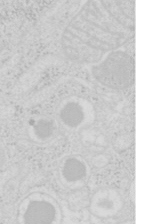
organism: Mouse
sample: Pancreas